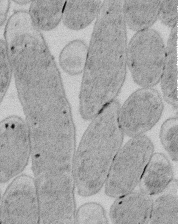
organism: E. coli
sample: Bacterial nucleoid